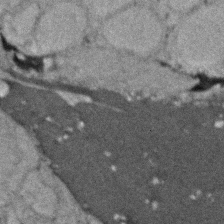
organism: Zebrafish